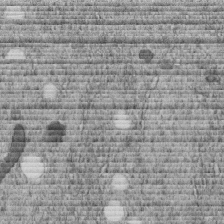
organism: C. elegans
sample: C. elegans embryo early stage